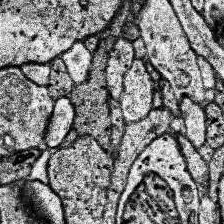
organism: Human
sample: Temporal Lobe